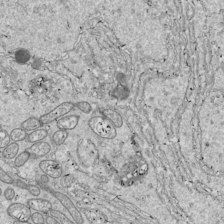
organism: Drosophila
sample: Cell division; meiosis; drosophila spermatocytes